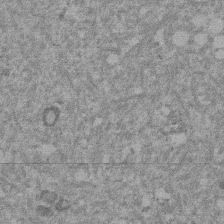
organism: Mouse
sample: Dividing mouse embryo 1 cell stage